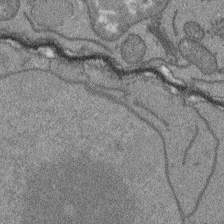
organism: Arabidopsis thaliana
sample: Root tip